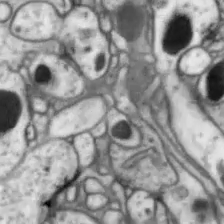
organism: Drosophila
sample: Optic lobe